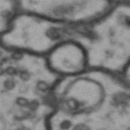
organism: Drosophila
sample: Brain